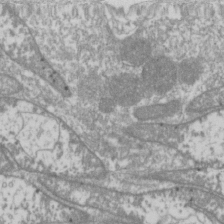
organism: Drosophila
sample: Cell division; meiosis; drosophila spermatocytes